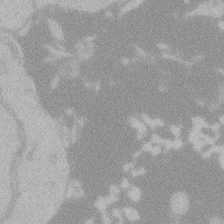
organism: Zebrafish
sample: Macrophage infected with Toxoplasma gondii